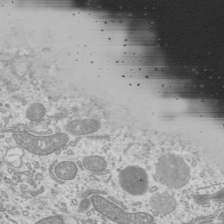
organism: Mouse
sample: Cilia; mouse epididymis